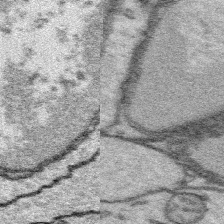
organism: Platynereis dumerilii